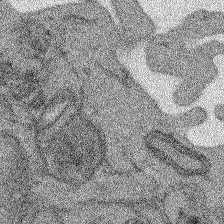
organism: Human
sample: HeLa cells